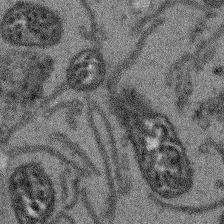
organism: Arabidopsis thaliana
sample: Root tip